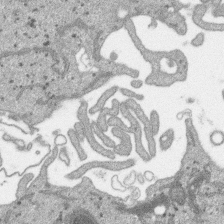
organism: Human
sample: Lung epithelial cells infected with SARS-CoV-2